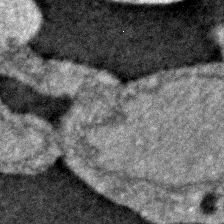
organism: Zebrafish